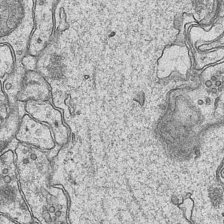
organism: Mouse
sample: CA1 Hippocampus